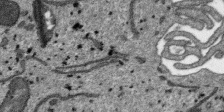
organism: Human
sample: Lung epithelial cells, uninfected (mock) control